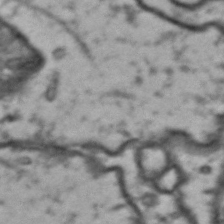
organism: Drosophila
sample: Brain